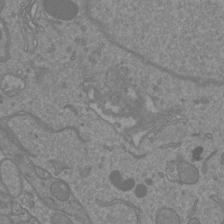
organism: Mouse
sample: Cortical neurons